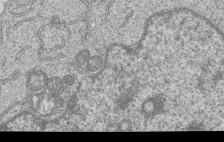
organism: Human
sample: MDA-MB-231 cells